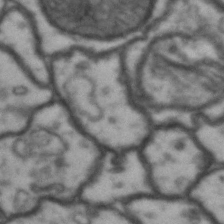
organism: Drosophila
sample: Brain